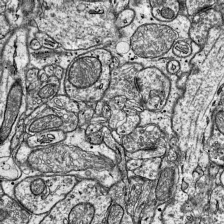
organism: Mouse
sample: Visual Cortex